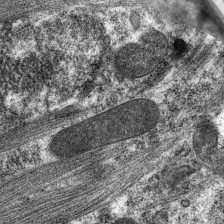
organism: C. elegans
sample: Pharynx